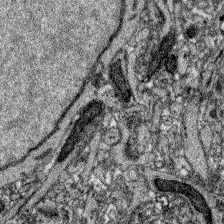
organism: Zebrafish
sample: Larval olfactory bulb